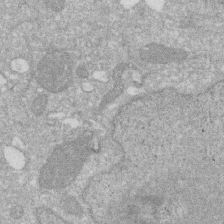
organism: Human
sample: HIV infected U937 cells